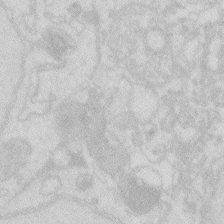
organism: Zebrafish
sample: Macrophage